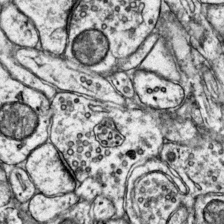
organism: Mouse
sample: Primary visual cortex